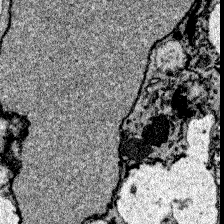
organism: Zebrafish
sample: Larval olfactory bulb